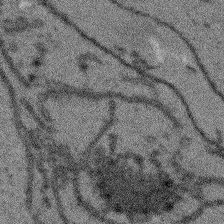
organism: Arabidopsis thaliana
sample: Root tip